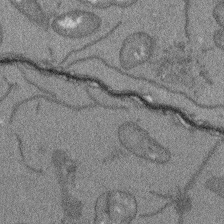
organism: Arabidopsis thaliana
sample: Root tip